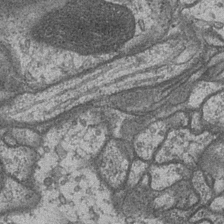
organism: Drosophila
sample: Optic medulla